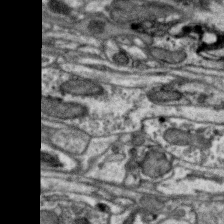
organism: Zebra finch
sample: Brain